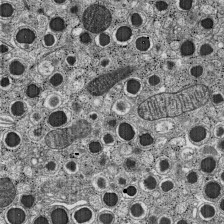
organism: C57BL Mouse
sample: Pancreatic islet